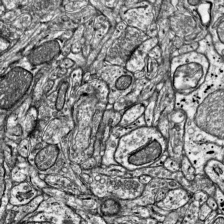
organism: Mouse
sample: Visual Cortex